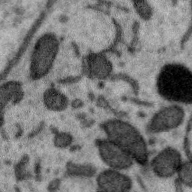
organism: Zebra finch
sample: Brain